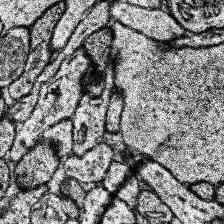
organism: Human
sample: Temporal Lobe